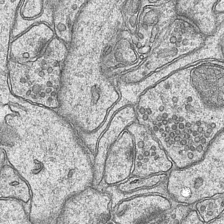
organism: Mouse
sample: CA1 Hippocampus